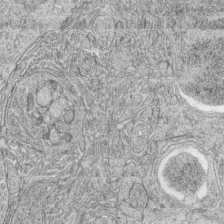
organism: Zebrafish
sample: synaptic ribbons in rod cells and cone cells